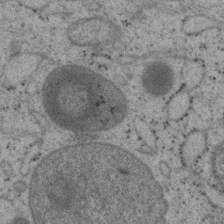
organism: Human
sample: HeLa cells